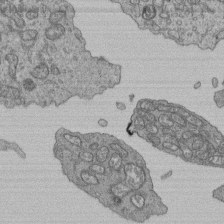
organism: Human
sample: Retinal organoid Rod and Cone cells